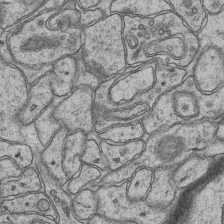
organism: Mouse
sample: CA1 Hippocampus